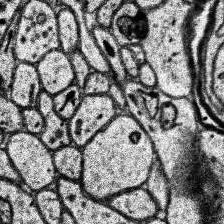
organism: Human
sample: Temporal Lobe